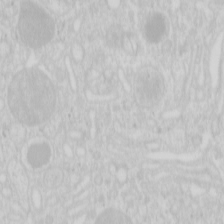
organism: Mouse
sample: Pancreas